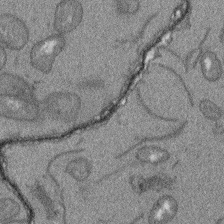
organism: Arabidopsis thaliana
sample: Root tip